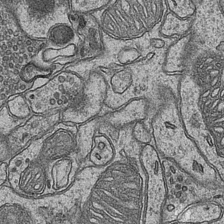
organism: Mouse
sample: CA1 Hippocampus